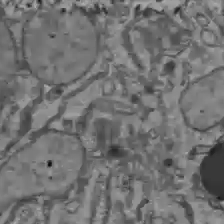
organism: C57BL Mouse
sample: Liver